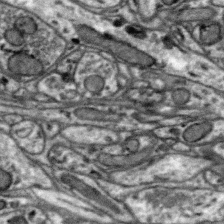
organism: Zebra finch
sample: Brain